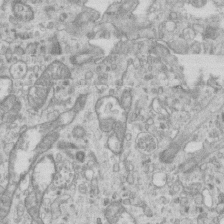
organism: Mouse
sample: Centriole in ependymal cells